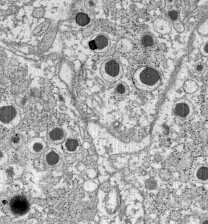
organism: C57BL Mouse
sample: Pancreatic islet